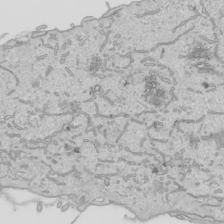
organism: Human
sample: Mitochondria in HCT116 cells